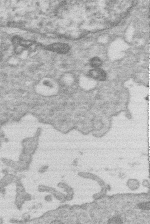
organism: Human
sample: Macrophage cells